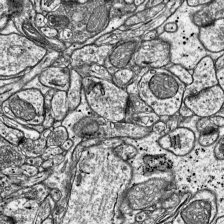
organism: Mouse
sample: Visual Cortex